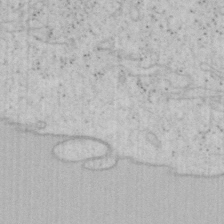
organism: Human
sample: HeLa cells